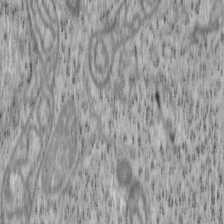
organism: Human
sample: HeLa cells